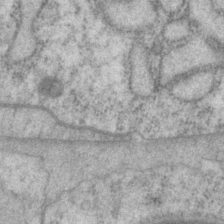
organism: P. pacificus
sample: Pharynx